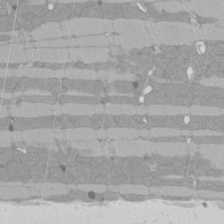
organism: Rat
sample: Left ventricle